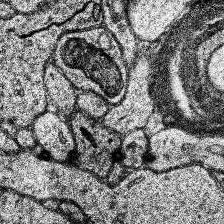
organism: Human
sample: Temporal Lobe